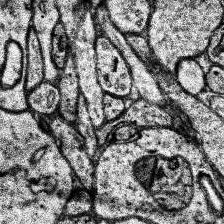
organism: Human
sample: Temporal Lobe